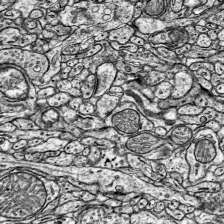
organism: Mouse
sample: Visual Cortex